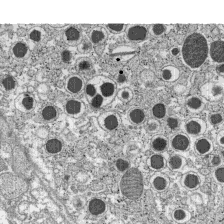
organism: C57BL Mouse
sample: Pancreatic islet